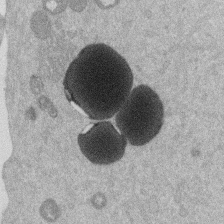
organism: Mouse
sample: Dividing mouse embryo 1 cell stage